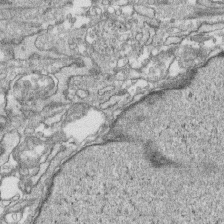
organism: Human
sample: CRL-1474